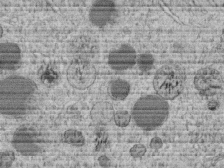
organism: C. elegans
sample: C. elegans embryo early stage